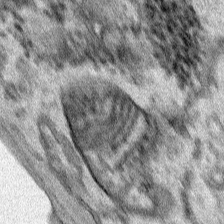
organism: Human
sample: Mitochondria in HCT116 cells